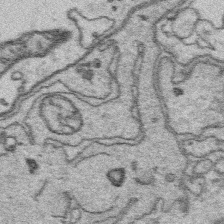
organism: Platynereis dumerilii